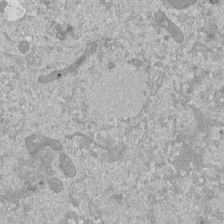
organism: Mouse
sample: ED-1 cell nuclei; centrioles